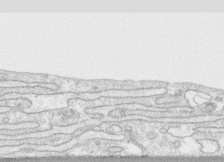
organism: Human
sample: CRL-1474